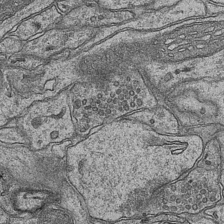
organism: Mouse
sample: CA1 Hippocampus